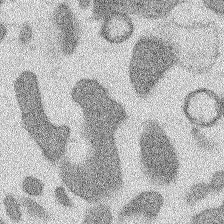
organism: Human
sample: HeLa cells